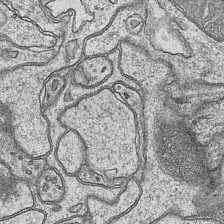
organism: Mouse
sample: CA1 Hippocampus